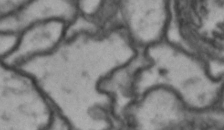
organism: Drosophila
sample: Brain